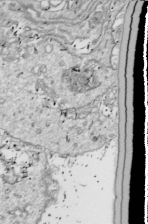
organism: Drosophila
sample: Cell division; meiosis; drosophila spermatocytes